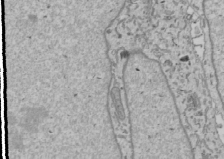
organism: Human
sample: Mitochondria in U2OS cells